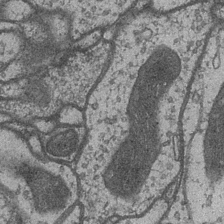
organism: Drosophila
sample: Optic medulla